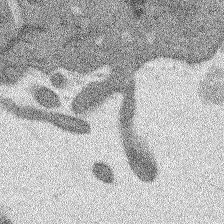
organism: Human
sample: HeLa cells